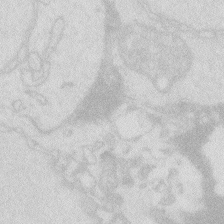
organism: Zebrafish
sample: Macrophage